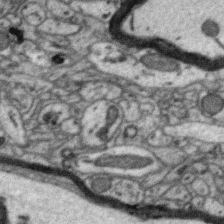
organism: Zebra finch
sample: Brain